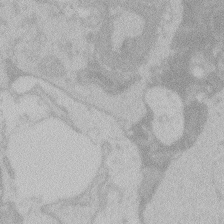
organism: Zebrafish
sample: Macrophage infected with Toxoplasma gondii